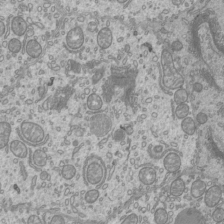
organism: Mouse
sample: Cilia; mouse epididymis